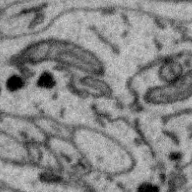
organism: Zebra finch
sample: Brain